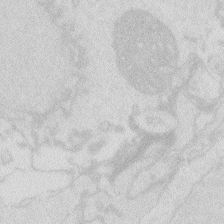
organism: Zebrafish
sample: Macrophage